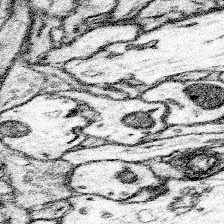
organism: Mouse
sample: Somatosensory cortex neuropil